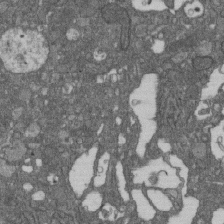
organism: Drosophila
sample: Nephrocyte